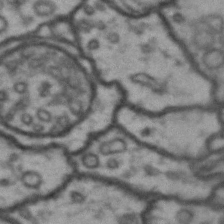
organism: Drosophila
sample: Brain